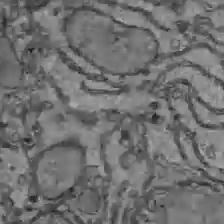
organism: C57BL Mouse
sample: Liver